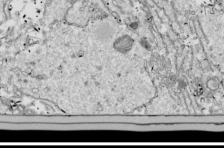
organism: Drosophila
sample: Cell division; meiosis; drosophila spermatocytes